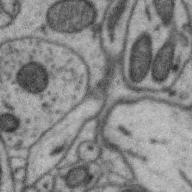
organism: Zebra finch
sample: Brain